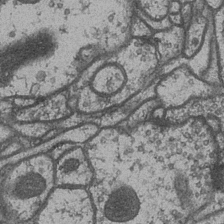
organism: Drosophila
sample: Optic medulla